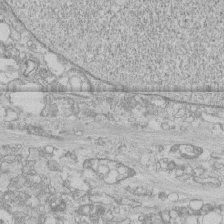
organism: Human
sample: CRL-1474